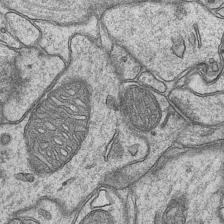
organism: Mouse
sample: CA1 Hippocampus